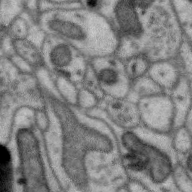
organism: Zebra finch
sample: Brain